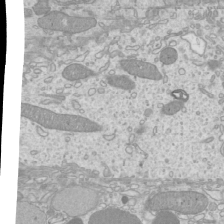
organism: Mouse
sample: Cilia; mouse epididymis